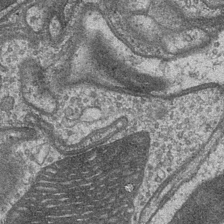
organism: Drosophila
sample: Optic medulla